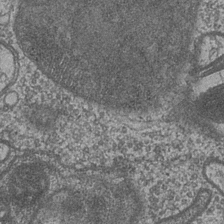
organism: Drosophila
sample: Optic medulla